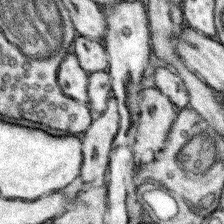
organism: Mouse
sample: Somatosensory cortex neuropil